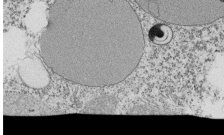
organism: Tetrahymena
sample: Cilia in tetrahymena